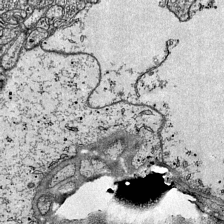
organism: Mouse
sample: Visual Cortex